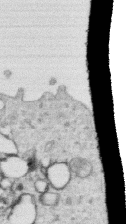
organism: Human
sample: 1205lu cells